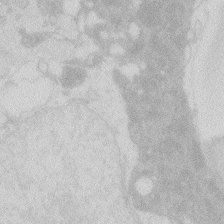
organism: Zebrafish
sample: Macrophage